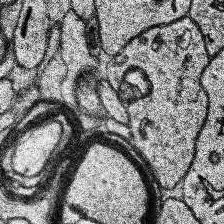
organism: Human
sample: Temporal Lobe